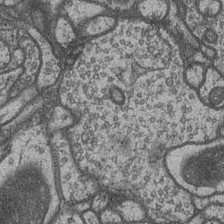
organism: Drosophila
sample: Optic medulla